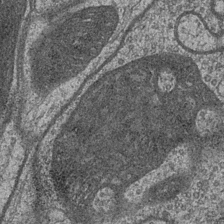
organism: Drosophila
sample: Optic medulla